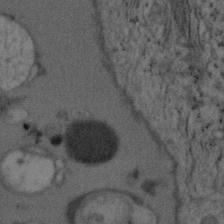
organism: Human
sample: HeLa cells